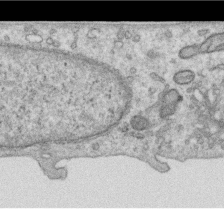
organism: Human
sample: Centriole in RPE cells